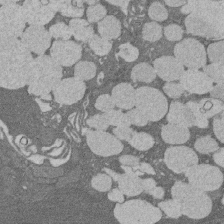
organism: Rat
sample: Salivary granule